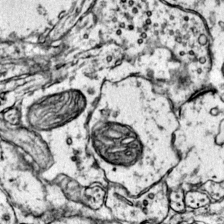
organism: Mouse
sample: Primary visual cortex